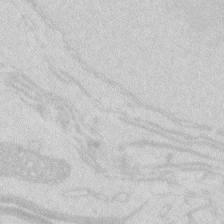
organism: Zebrafish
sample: Macrophage